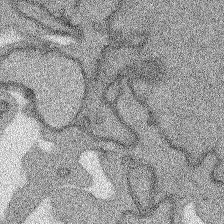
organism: Human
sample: HeLa cells